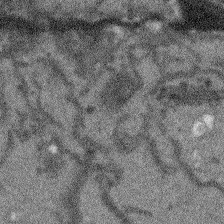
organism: Arabidopsis thaliana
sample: Root tip